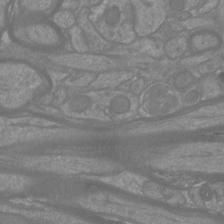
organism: Mouse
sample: Cortical neurons